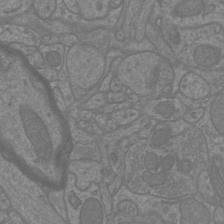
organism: Mouse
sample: Cortical neurons